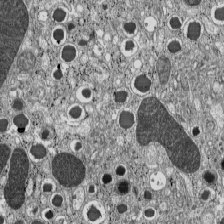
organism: C57BL Mouse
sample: Pancreatic islet